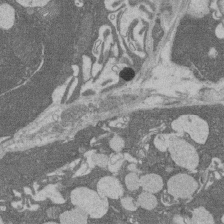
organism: Rat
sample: Salivary granule